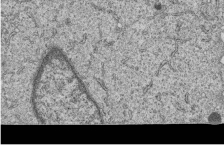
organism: Human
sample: MDA-MB-231 cells